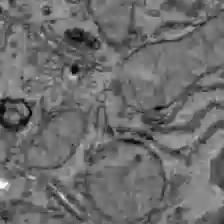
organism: C57BL Mouse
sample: Liver